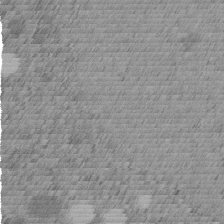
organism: C. elegans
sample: C. elegans embryo early stage